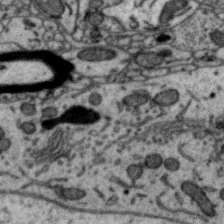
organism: Zebra finch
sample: Brain